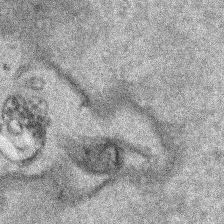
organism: Human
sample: Mitochondria in HCT116 cells